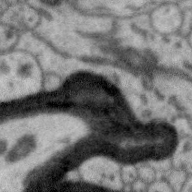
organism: Zebra finch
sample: Brain